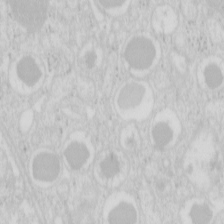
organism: Mouse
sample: Pancreas